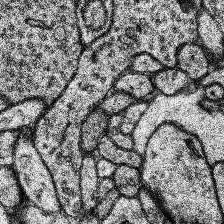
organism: Human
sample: Temporal Lobe